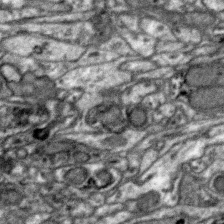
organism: Zebra finch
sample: Brain